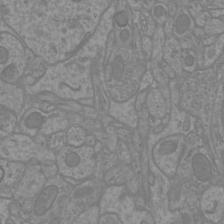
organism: Mouse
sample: Cortical neurons